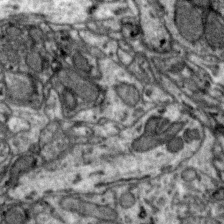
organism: Zebra finch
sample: Brain